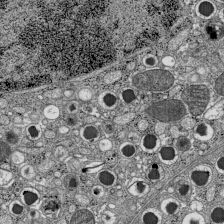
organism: C57BL Mouse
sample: Pancreatic islet